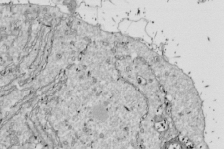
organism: Drosophila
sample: Cell division; meiosis; drosophila spermatocytes